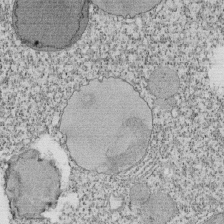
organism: Tetrahymena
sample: Cilia in tetrahymena